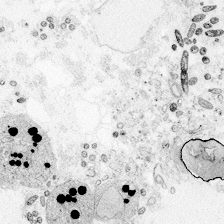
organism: Zebrafish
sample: Whole-Brain